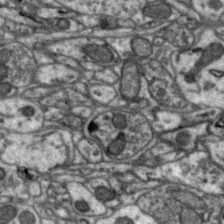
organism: Zebra finch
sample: Brain